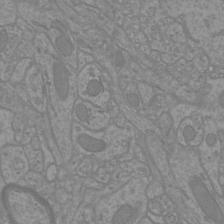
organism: Mouse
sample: Cortical neurons